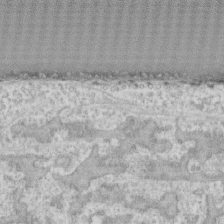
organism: Human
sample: CRL-1474